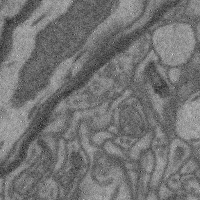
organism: Mouse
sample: Cerebral cortex